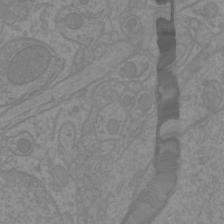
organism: Mouse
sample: Cortical neurons